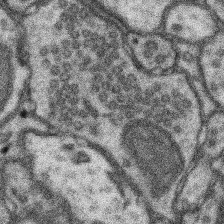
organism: Mouse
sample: Somatosensory cortex neuropil